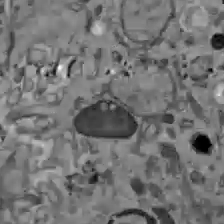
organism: C57BL Mouse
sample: Liver